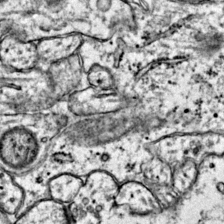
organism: Mouse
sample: Primary visual cortex